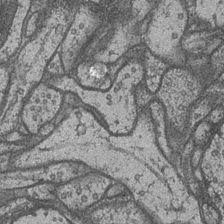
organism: Drosophila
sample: Optic medulla